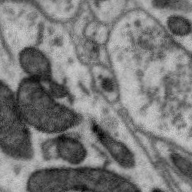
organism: Zebra finch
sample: Brain